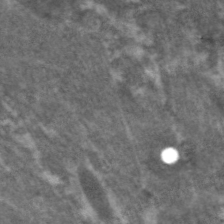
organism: C. elegans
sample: Pharynx